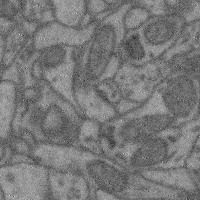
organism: Mouse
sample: Cerebral cortex